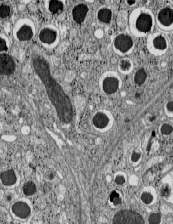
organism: C57BL Mouse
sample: Pancreatic islet